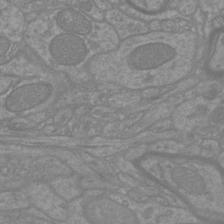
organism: Mouse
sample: Cortical neurons